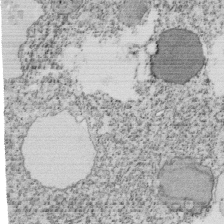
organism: Tetrahymena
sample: Cilia in tetrahymena